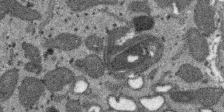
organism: Human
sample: Lung epithelial cells infected with SARS-CoV-2